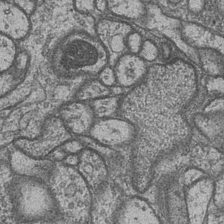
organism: Drosophila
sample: Optic medulla